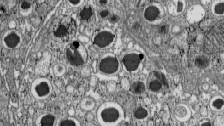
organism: C57BL Mouse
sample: Pancreatic islet